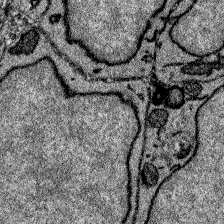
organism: Zebrafish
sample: Larval olfactory bulb